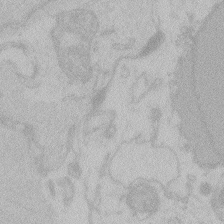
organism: Zebrafish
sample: Macrophage infected with Toxoplasma gondii